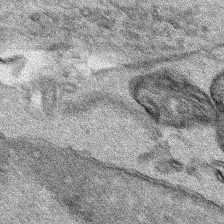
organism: Human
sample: Mitochondria in HCT116 cells